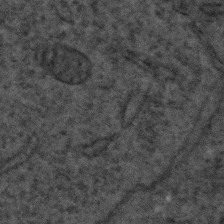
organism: C. elegans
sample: C. elegans embryo